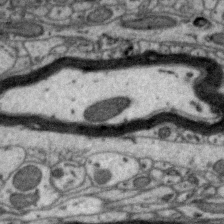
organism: Zebra finch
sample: Brain